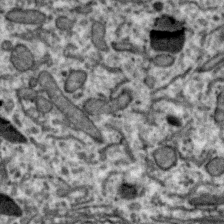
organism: Zebra finch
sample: Brain